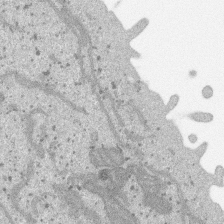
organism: Human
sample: Lung epithelial cells infected with SARS-CoV-2